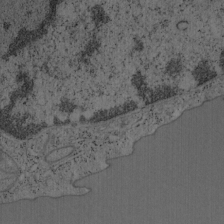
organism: Mouse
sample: OT-I killer T cells with ID8 ovarian cancer cells